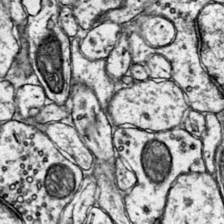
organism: Mouse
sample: Primary visual cortex